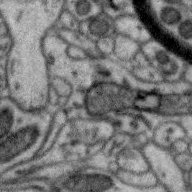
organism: Zebra finch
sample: Brain